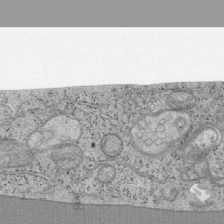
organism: Human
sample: HeLa cells